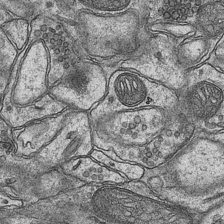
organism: Mouse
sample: CA1 Hippocampus